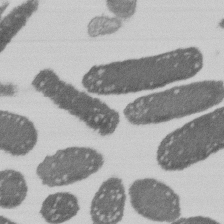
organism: E. coli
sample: Bacterial nucleoid